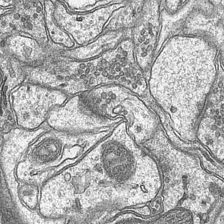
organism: Mouse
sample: CA1 Hippocampus